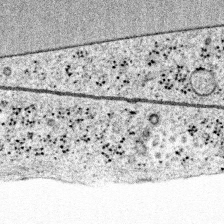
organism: Human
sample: HeLa cells